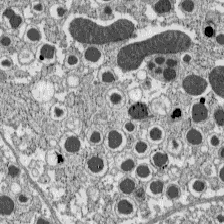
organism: C57BL Mouse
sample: Pancreatic islet